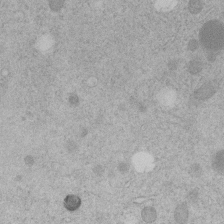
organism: C. elegans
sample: C. elegans embryo early stage